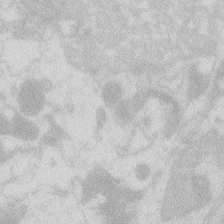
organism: Zebrafish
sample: Macrophage